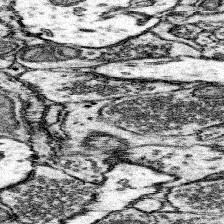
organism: Mouse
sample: Somatosensory cortex neuropil